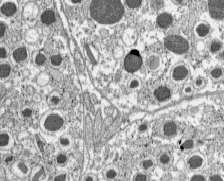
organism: C57BL Mouse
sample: Pancreatic islet